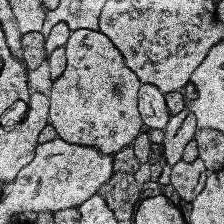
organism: Human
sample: Temporal Lobe